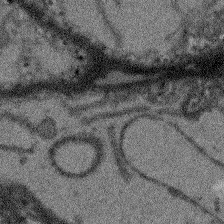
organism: Arabidopsis thaliana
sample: Root tip